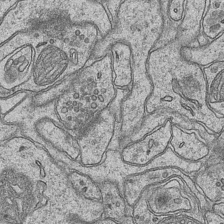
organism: Mouse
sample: CA1 Hippocampus